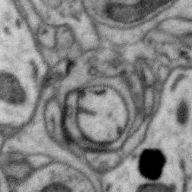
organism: Zebra finch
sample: Brain